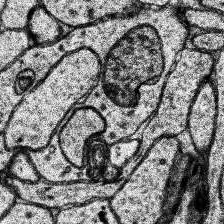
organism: Human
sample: Temporal Lobe